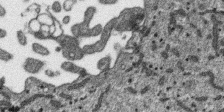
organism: Human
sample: Lung epithelial cells infected with SARS-CoV-2